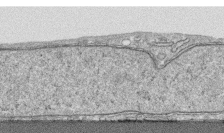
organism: Human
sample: CRL-1474